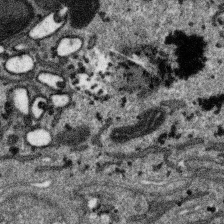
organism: Human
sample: Lung epithelial cells infected with SARS-CoV-2